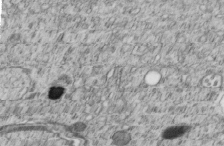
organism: C. elegans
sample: C. elegans embryo early stage